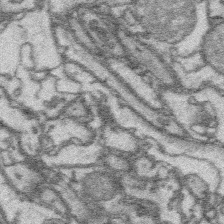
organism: Platynereis dumerilii